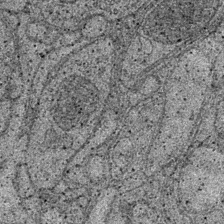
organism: Drosophila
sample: Optic medulla